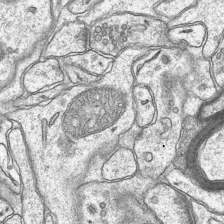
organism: Mouse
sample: CA1 Hippocampus